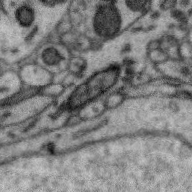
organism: Zebra finch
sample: Brain